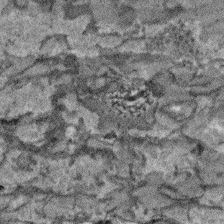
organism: Arabidopsis thaliana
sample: Root tip